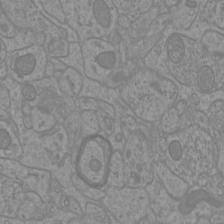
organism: Mouse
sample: Cortical neurons